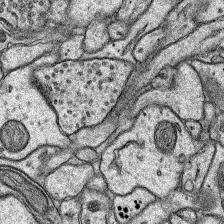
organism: Rat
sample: Hippocampus